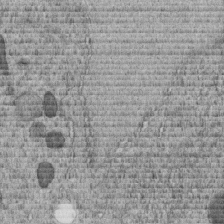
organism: C. elegans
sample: C. elegans embryo early stage